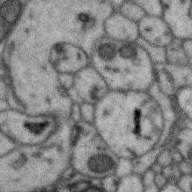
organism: Zebra finch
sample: Brain